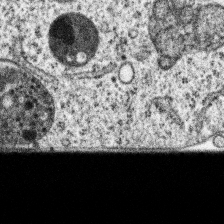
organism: Human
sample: HeLa cells